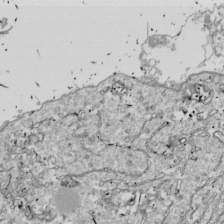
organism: Drosophila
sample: Cell division; meiosis; drosophila spermatocytes